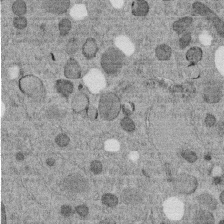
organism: C. elegans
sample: C. elegans embryo early stage